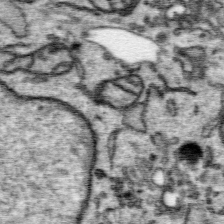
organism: Human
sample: HeLa cells